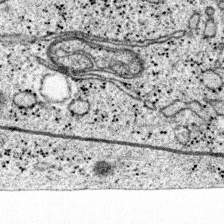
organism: Human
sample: HeLa cells